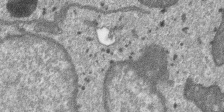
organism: Human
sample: Lung epithelial cells infected with SARS-CoV-2